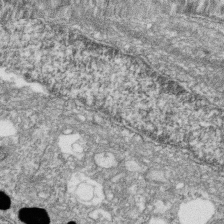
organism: Zebrafish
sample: Cilia; retinal pigment epithelium